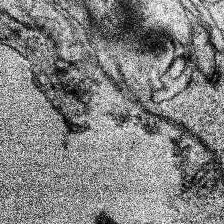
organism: Human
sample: Temporal Lobe